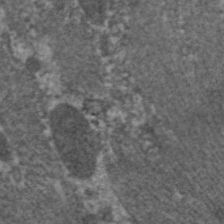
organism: C. elegans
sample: Pharynx